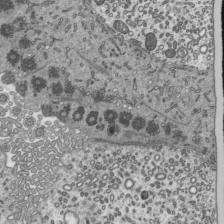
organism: Mouse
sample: Mouse epididymis efferent ductule cilia